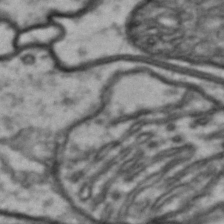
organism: Drosophila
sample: Brain